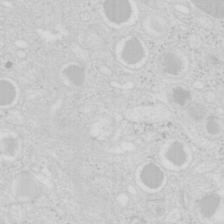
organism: Mouse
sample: Pancreas